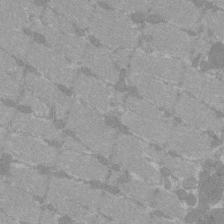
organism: C57BL Mouse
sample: Tibialis anterior muscle cell